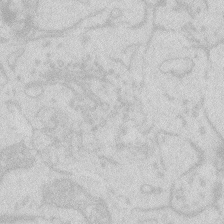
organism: Zebrafish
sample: Macrophage